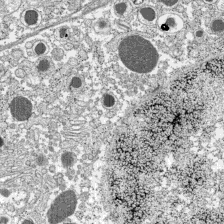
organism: C57BL Mouse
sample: Pancreatic islet